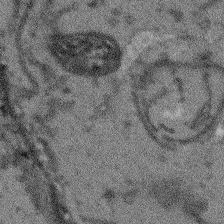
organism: Arabidopsis thaliana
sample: Root tip